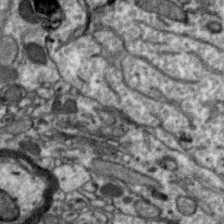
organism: Zebra finch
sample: Brain